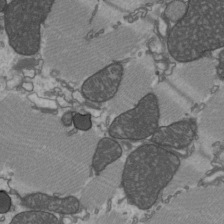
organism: C57BL Mouse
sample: Heart